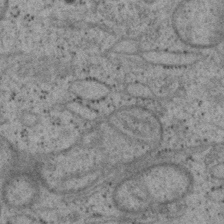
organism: Human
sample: HeLa cells